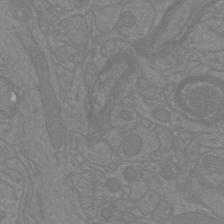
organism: Mouse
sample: Cortical neurons